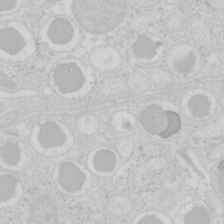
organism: Mouse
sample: Pancreas